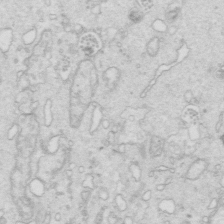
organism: Mouse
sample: Multiciliated cells